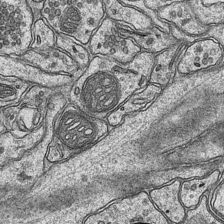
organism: Mouse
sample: CA1 Hippocampus